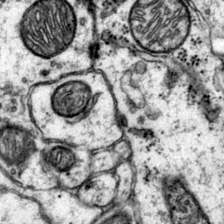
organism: Mouse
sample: Primary visual cortex